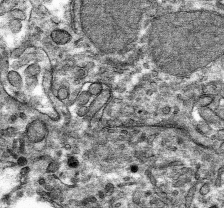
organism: Mouse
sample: Mouse hepatocytes